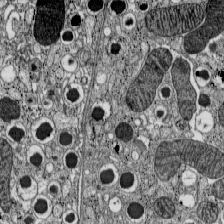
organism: C57BL Mouse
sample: Pancreatic islet